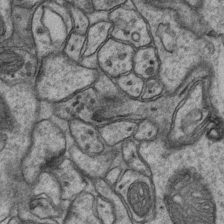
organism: Mouse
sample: CA1 Hippocampus